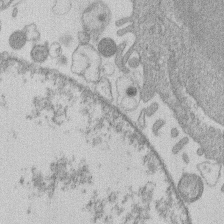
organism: Human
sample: Macrophage cells